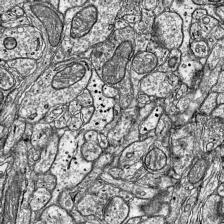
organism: Mouse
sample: Visual Cortex